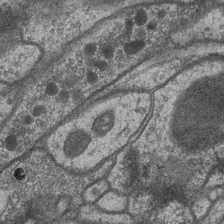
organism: Drosophila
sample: Optic medulla